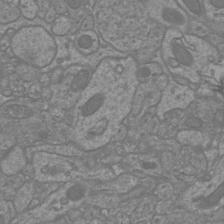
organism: Mouse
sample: Cortical neurons